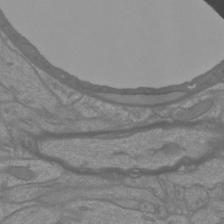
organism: Mouse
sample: Cortical neurons